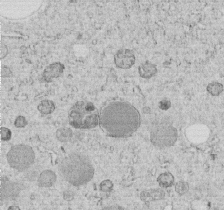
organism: C. elegans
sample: C. elegans embryo early stage